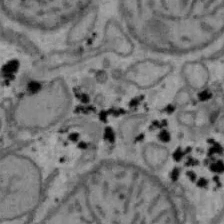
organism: Mouse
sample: Liver